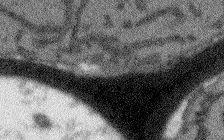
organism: Arabidopsis thaliana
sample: Root tip